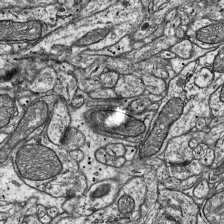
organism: Mouse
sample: Visual Cortex